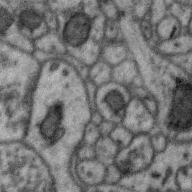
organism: Zebra finch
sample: Brain